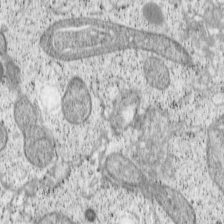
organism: African green monkey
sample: COS-7 cells